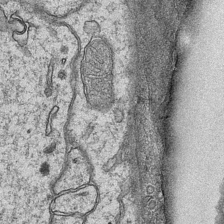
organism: Mouse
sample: CA1 Hippocampus